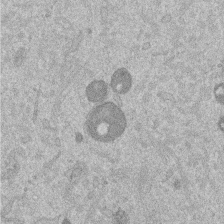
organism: Mouse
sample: Dividing mouse embryo 1 cell stage